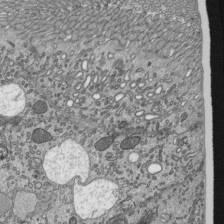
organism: Mouse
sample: Mouse epididymis efferent ductule cilia